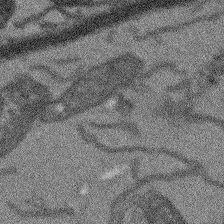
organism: Arabidopsis thaliana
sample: Root tip